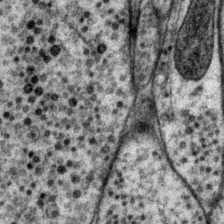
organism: P. pacificus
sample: Pharynx